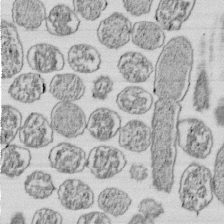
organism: E. coli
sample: Bacterial nucleoid